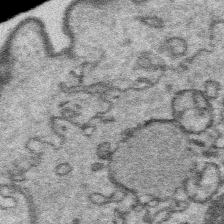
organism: Platynereis dumerilii